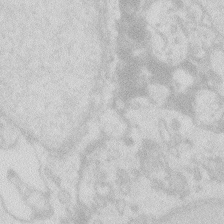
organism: Zebrafish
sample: Macrophage